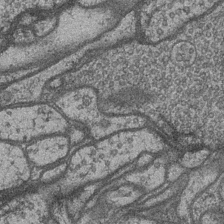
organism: Drosophila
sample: Optic medulla